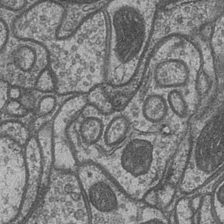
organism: Drosophila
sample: Optic medulla